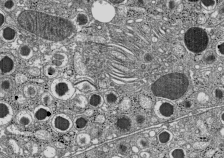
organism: C57BL Mouse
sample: Pancreatic islet